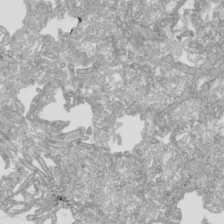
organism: Human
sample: Mitochondria in HCT116 cells